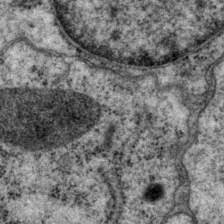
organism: P. pacificus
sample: Pharynx